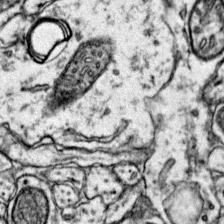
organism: Mouse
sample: Primary visual cortex